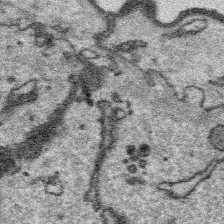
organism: Platynereis dumerilii